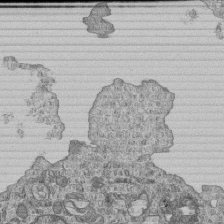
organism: Human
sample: MDA-MB-231 cells